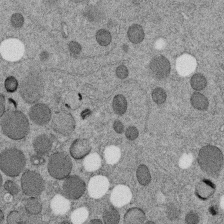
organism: C. elegans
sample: C. elegans embryo early stage